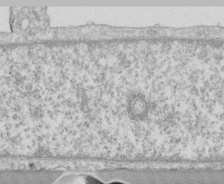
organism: Human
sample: CRL-1474